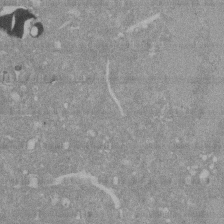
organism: Mouse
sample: ED-1 cell nuclei; centrioles